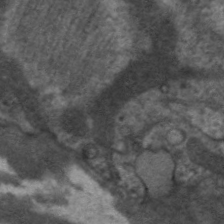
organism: C. elegans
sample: Pharynx